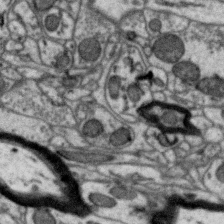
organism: Zebra finch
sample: Brain